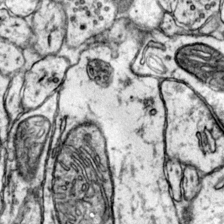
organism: Mouse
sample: Primary visual cortex